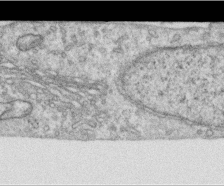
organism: Human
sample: Centriole in RPE cells